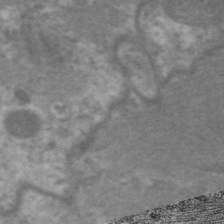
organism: C. elegans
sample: Pharynx